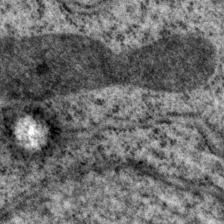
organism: P. pacificus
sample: Pharynx